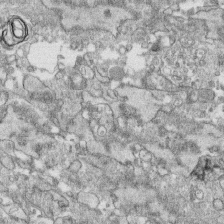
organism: Human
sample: CRL-1474